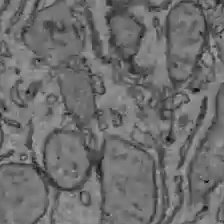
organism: C57BL Mouse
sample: Liver